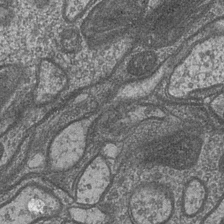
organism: Drosophila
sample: Optic medulla